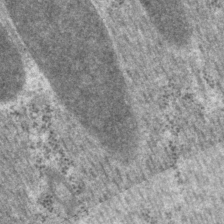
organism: P. pacificus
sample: Pharynx